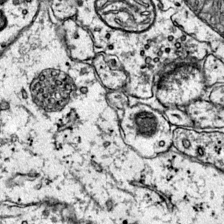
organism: Mouse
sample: Primary visual cortex